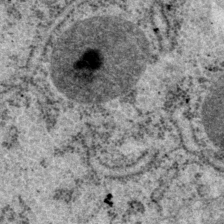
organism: P. pacificus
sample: Pharynx